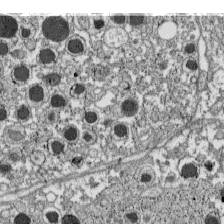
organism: C57BL Mouse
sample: Pancreatic islet